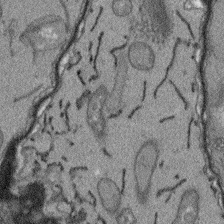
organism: Arabidopsis thaliana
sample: Root tip